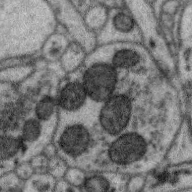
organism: Zebra finch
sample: Brain